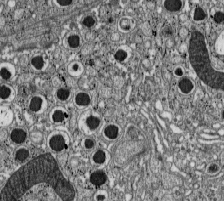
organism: C57BL Mouse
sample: Pancreatic islet